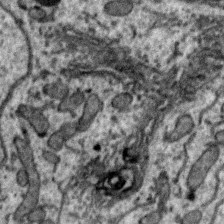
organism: Zebra finch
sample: Brain